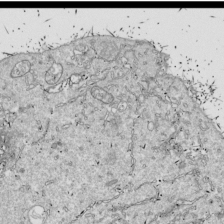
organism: Drosophila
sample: Cell division; meiosis; drosophila spermatocytes